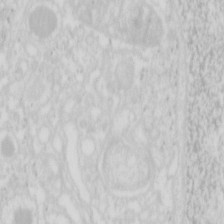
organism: Mouse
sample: Pancreas